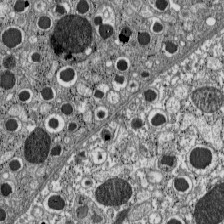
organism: C57BL Mouse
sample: Pancreatic islet